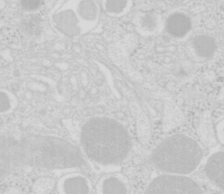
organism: Mouse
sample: Pancreas